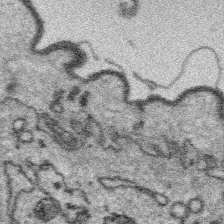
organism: Platynereis dumerilii